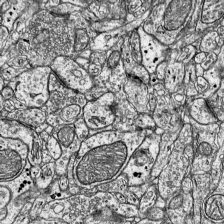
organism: Mouse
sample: Visual Cortex